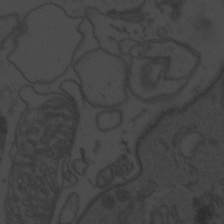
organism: Zebrafish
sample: Macrophage infected with Toxoplasma gondii